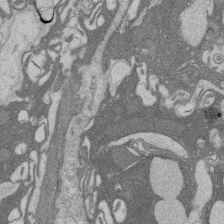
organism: Rat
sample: Salivary granule